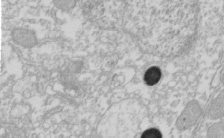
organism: Xenopus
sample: Cilia; centrioles in frog embryo cells